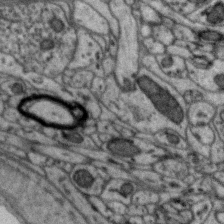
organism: Zebra finch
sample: Brain